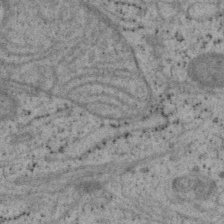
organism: Human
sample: HeLa cells